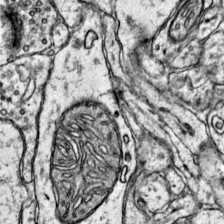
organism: Mouse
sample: Primary visual cortex